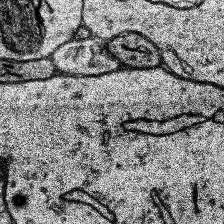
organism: Human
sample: Temporal Lobe